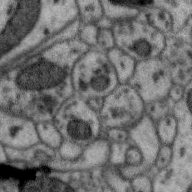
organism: Zebra finch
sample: Brain